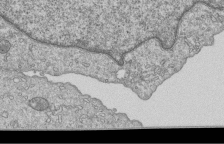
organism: Human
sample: MDA-MB-231 cells